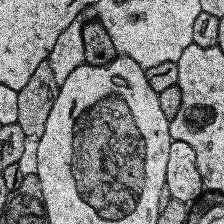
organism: Human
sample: Temporal Lobe